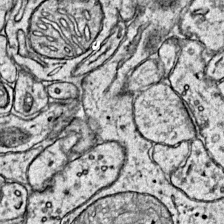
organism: Mouse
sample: Primary visual cortex